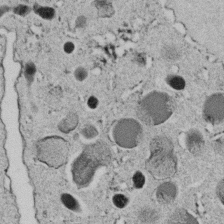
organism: C. elegans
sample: C. elegans embryo early stage